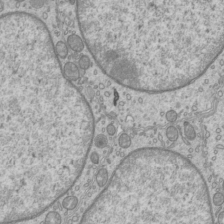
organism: Mouse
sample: Cilia; mouse epididymis